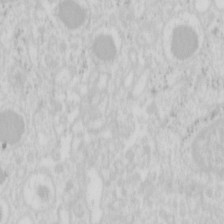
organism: Mouse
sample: Pancreas